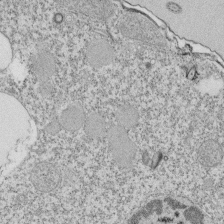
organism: Tetrahymena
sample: Cilia in tetrahymena